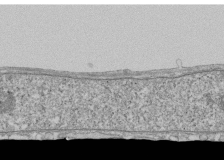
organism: Human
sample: Fibroblast cells